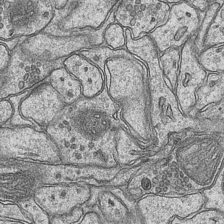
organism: Mouse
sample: CA1 Hippocampus